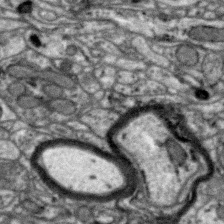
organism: Zebra finch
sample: Brain